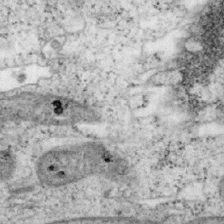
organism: Mouse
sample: OT-I killer T cells with ID8 ovarian cancer cells